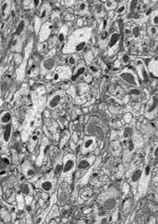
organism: Drosophila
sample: Optic lobe